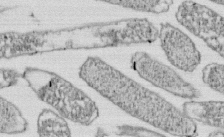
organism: E. coli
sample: Bacterial nucleoid